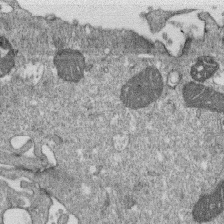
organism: African green monkey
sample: Vero E6 cells infected with SARS-CoV-2